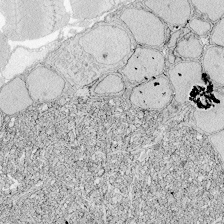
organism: Zebrafish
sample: Whole-Brain